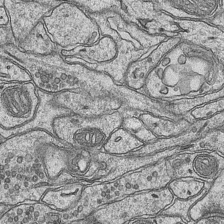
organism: Mouse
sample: CA1 Hippocampus